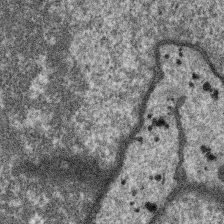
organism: Human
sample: Lung epithelial cells infected with SARS-CoV-2